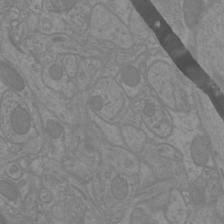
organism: Mouse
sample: Cortical neurons